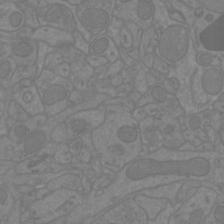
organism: Mouse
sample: Cortical neurons